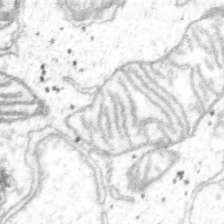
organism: Human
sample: HeLa cells